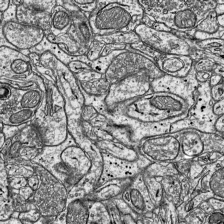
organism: Mouse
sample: Visual Cortex